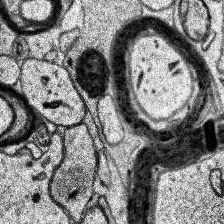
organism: Human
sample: Temporal Lobe